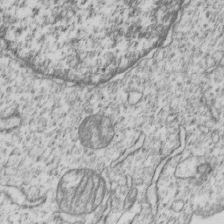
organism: Human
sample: MDA-MB-231 cells